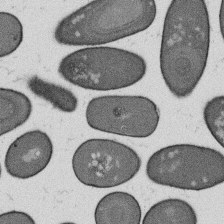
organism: B. subtilis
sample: Bacterial spore